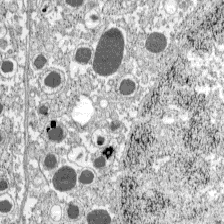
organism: C57BL Mouse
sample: Pancreatic islet